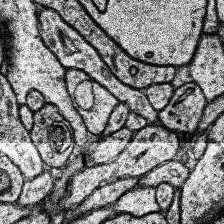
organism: Human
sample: Temporal Lobe